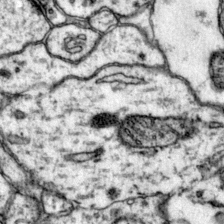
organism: Mouse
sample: Primary visual cortex